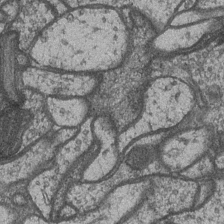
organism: Drosophila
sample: Optic medulla